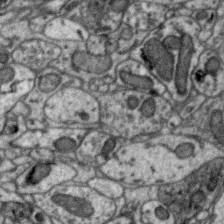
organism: Zebra finch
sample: Brain